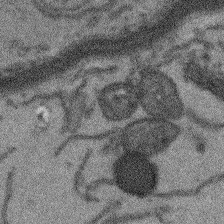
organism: Arabidopsis thaliana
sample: Root tip